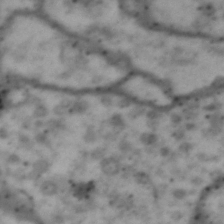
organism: Drosophila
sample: Brain